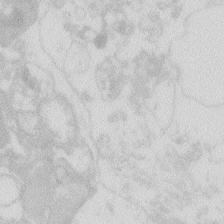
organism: Zebrafish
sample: Macrophage